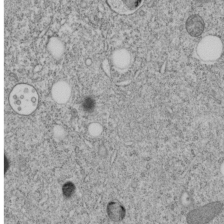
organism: C. elegans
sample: C. elegans embryo early stage